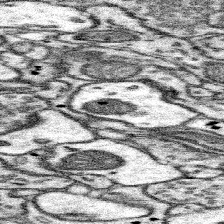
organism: Mouse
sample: Somatosensory cortex neuropil